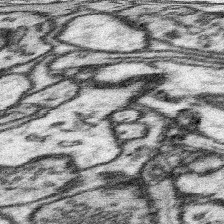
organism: Mouse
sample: Somatosensory cortex neuropil